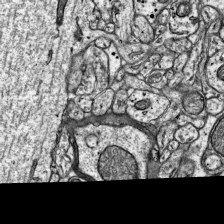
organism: Mouse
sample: Visual Cortex